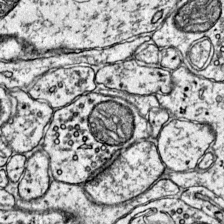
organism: Mouse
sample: Primary visual cortex